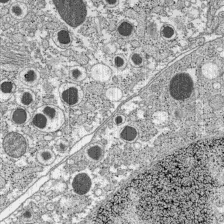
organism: C57BL Mouse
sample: Pancreatic islet